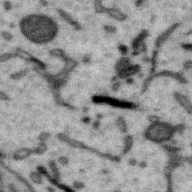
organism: Zebra finch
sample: Brain